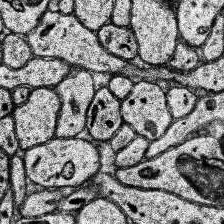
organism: Human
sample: Temporal Lobe